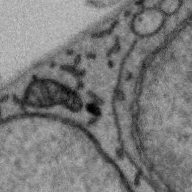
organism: Zebra finch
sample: Brain